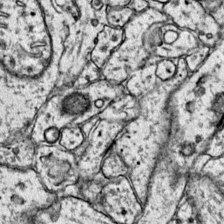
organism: Mouse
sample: Primary visual cortex